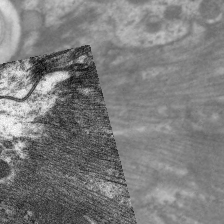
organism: C. elegans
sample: Pharynx